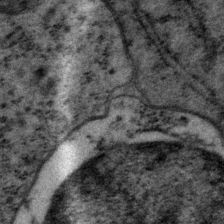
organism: P. pacificus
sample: Pharynx